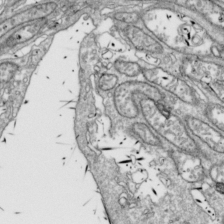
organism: Drosophila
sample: Cell division; meiosis; drosophila spermatocytes